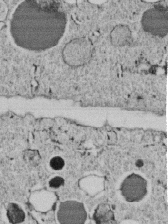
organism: C. elegans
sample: C. elegans embryo early stage